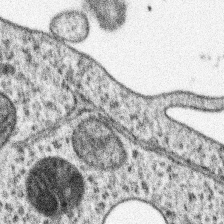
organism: Human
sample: HeLa cells